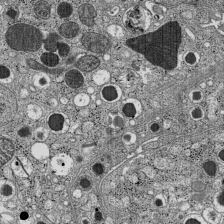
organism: C57BL Mouse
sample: Pancreatic islet